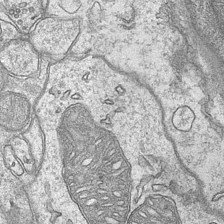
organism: Mouse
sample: CA1 Hippocampus